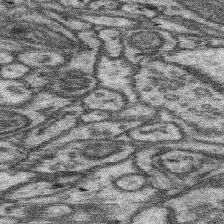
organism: Mouse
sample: Somatosensory cortex neuropil